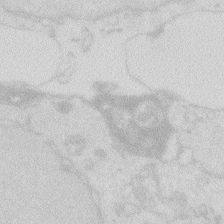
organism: Zebrafish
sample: Macrophage